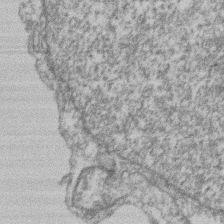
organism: Mouse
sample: T cell stromal cell synapse